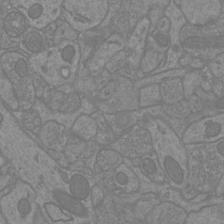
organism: Mouse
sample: Cortical neurons